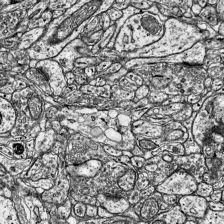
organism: Mouse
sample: Visual Cortex